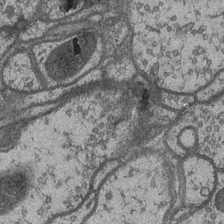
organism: Drosophila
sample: Optic medulla